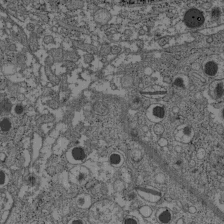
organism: C57BL Mouse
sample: Pancreatic islet